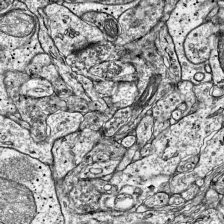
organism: Mouse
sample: Visual Cortex